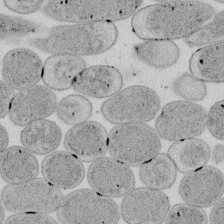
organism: E. coli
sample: Bacterial nucleoid